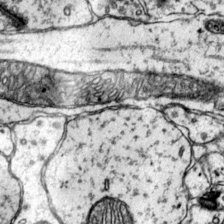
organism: Mouse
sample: Primary visual cortex